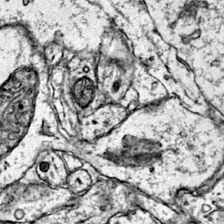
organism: Mouse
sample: Primary visual cortex